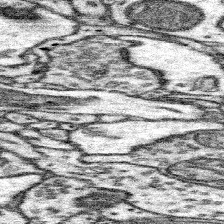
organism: Mouse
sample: Somatosensory cortex neuropil